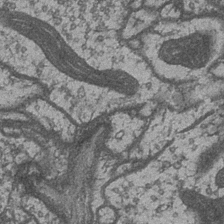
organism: Drosophila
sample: Optic medulla